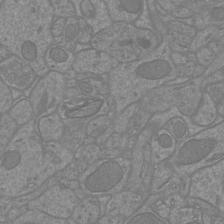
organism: Mouse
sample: Cortical neurons